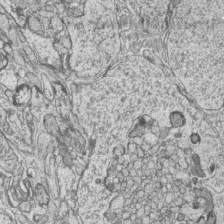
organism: Zebrafish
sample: synaptic ribbons in rod cells and cone cells